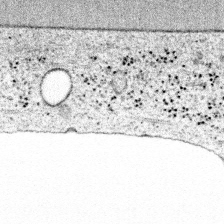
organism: Human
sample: HeLa cells